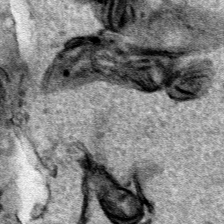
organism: Human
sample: Mitochondria in HCT116 cells